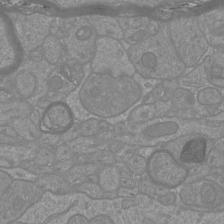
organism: Mouse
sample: Cortical neurons